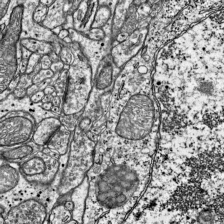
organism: Mouse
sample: Visual Cortex